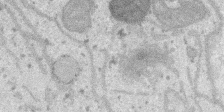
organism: Human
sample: Lung epithelial cells infected with SARS-CoV-2